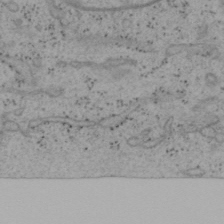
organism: Human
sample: HeLa cells